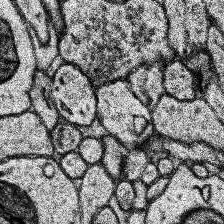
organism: Human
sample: Temporal Lobe